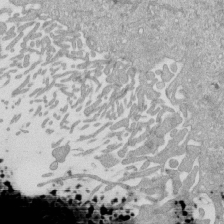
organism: Mouse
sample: ED-1 cell nuclei; centrioles